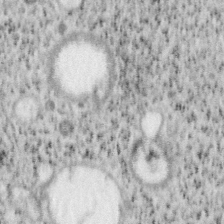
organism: Mouse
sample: OT-I killer T cells with ID8 ovarian cancer cells